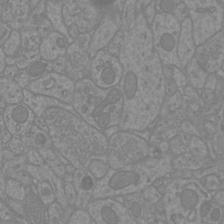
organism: Mouse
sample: Cortical neurons